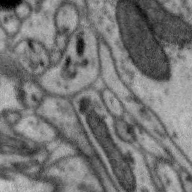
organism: Zebra finch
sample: Brain